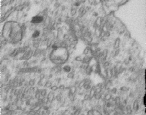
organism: Human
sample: Centriole in RPE cells